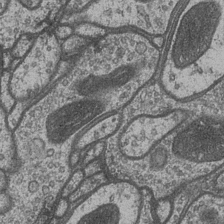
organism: Drosophila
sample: Optic medulla